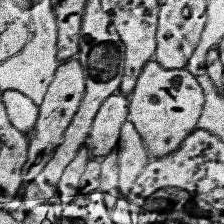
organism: Human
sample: Temporal Lobe